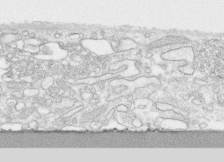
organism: Human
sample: CRL-1474